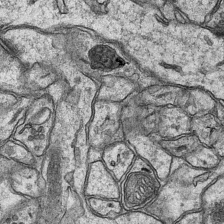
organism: Mouse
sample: CA1 Hippocampus